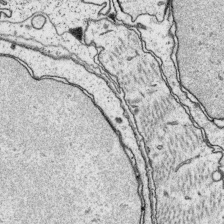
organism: Platynereis dumerilii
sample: Parapodia